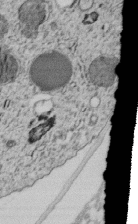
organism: C. elegans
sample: C. elegans embryo early stage